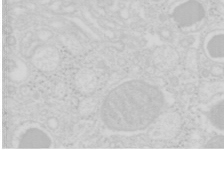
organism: Mouse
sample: Pancreas